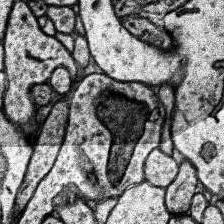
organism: Human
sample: Temporal Lobe